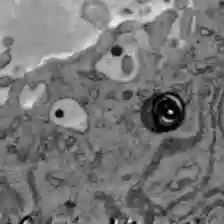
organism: C57BL Mouse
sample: Liver